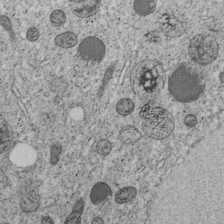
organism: C. elegans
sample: C. elegans embryo early stage